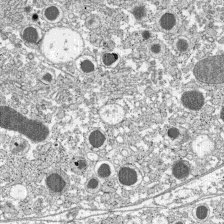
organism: C57BL Mouse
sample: Pancreatic islet